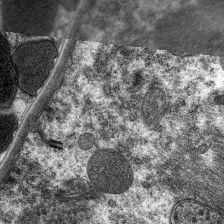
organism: C. elegans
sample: Pharynx